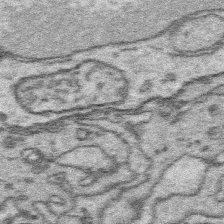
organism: Platynereis dumerilii